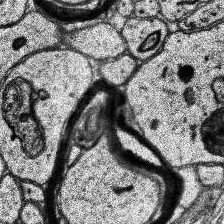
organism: Human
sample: Temporal Lobe